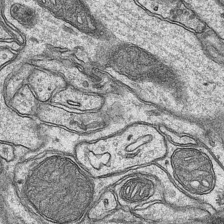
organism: Mouse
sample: CA1 Hippocampus